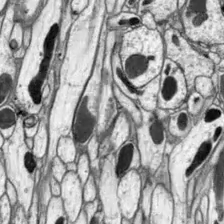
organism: Drosophila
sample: Optic lobe